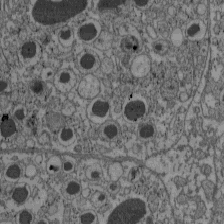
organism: C57BL Mouse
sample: Pancreatic islet